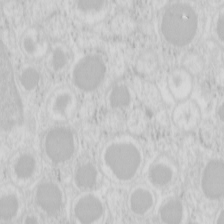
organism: Mouse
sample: Pancreas